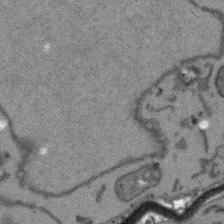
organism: Arabidopsis thaliana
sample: Root tip